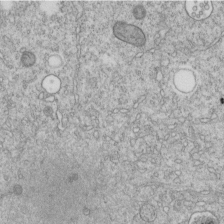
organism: C. elegans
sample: C. elegans embryo early stage